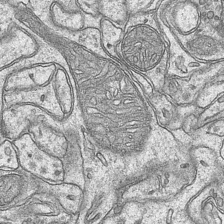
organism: Mouse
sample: CA1 Hippocampus